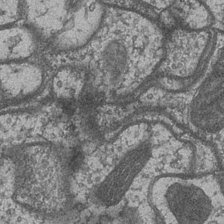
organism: Drosophila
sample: Optic medulla